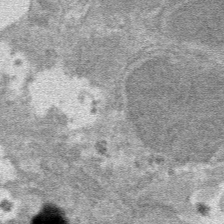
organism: Mouse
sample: Mouse hepatocytes